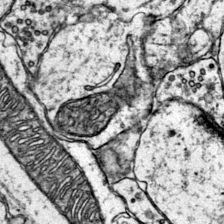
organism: Mouse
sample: Primary visual cortex